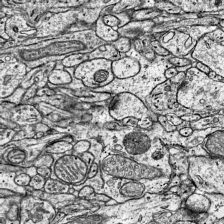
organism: Mouse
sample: Visual Cortex